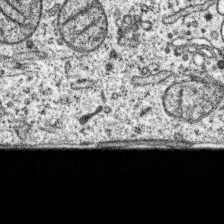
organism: Human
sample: HeLa cells